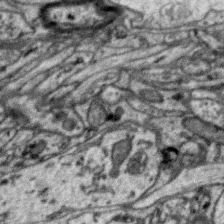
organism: Zebra finch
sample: Brain